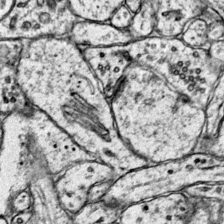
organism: Mouse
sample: Primary visual cortex